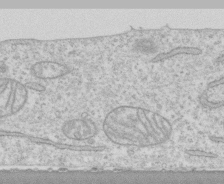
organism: Human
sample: CRL-1474